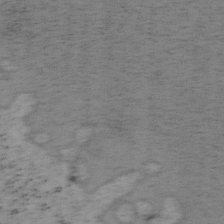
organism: Mouse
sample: OT-I killer T cells with ID8 ovarian cancer cells